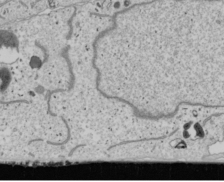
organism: Human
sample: Mitochondria in U2OS cells